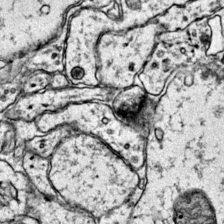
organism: Mouse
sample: Primary visual cortex